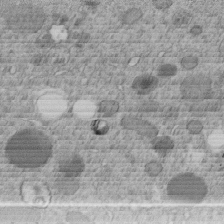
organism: C. elegans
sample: C. elegans embryo early stage